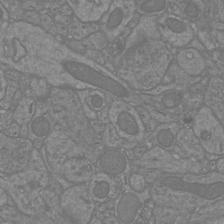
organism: Mouse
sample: Cortical neurons